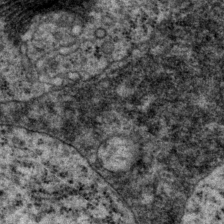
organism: P. pacificus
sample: Pharynx